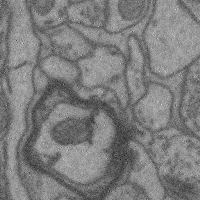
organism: Mouse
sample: Cerebral cortex